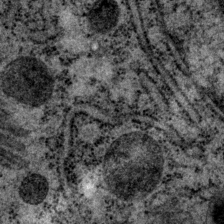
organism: P. pacificus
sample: Pharynx